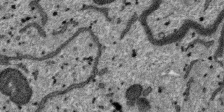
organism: Human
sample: Lung epithelial cells, uninfected (mock) control